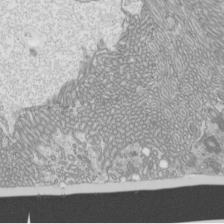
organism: Mouse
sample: Cilia; mouse epididymis